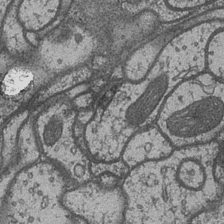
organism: Drosophila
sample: Optic medulla